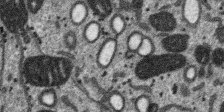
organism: Human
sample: Lung epithelial cells infected with SARS-CoV-2